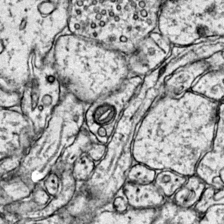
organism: Mouse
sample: Primary visual cortex